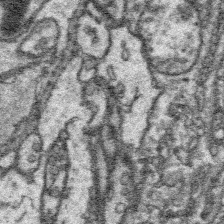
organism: Platynereis dumerilii